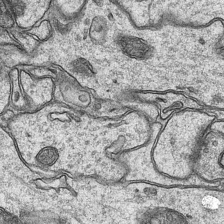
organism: Mouse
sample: CA1 Hippocampus